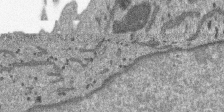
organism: Human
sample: Lung epithelial cells infected with SARS-CoV-2